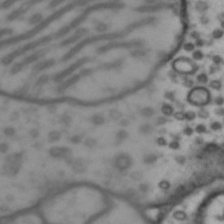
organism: Drosophila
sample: Brain